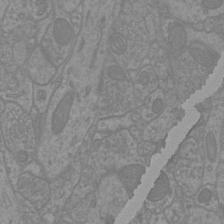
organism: Mouse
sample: Cortical neurons